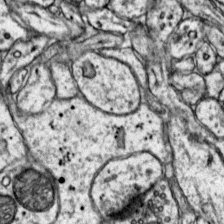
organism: Mouse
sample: Primary visual cortex